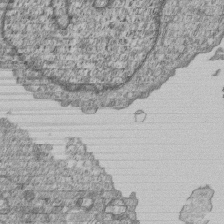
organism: Human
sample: MDA-MB-231 cells